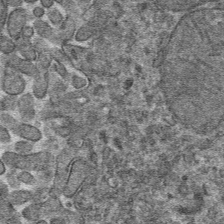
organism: Mouse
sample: Mouse hepatocytes